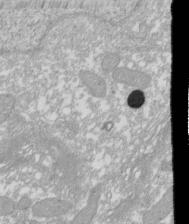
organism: Xenopus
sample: Cilia; centrioles in frog embryo cells